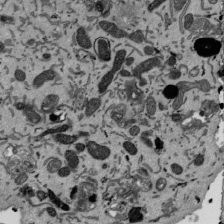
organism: Mouse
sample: ED-1 cell nuclei; centrioles